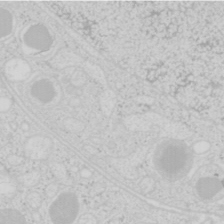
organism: Mouse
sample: Pancreas